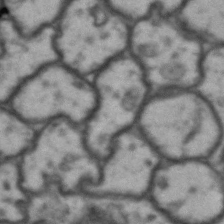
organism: Drosophila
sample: Brain